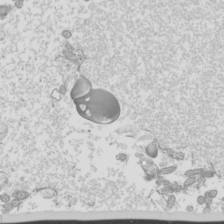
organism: Mouse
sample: Cilia; mouse epididymis